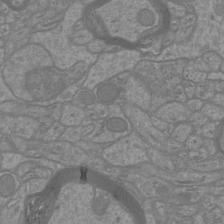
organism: Mouse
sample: Cortical neurons